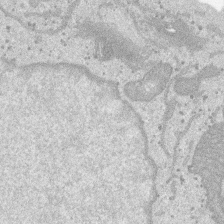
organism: Human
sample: Lung epithelial cells infected with SARS-CoV-2